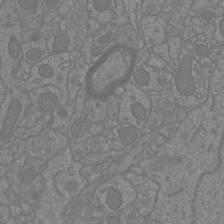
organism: Mouse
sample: Cortical neurons